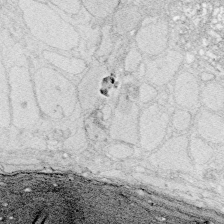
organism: Zebrafish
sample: Whole-Brain